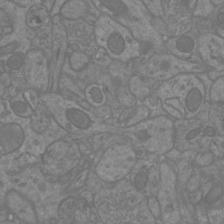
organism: Mouse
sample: Cortical neurons